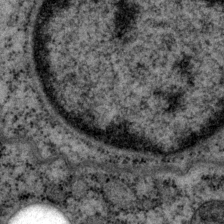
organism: P. pacificus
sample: Pharynx